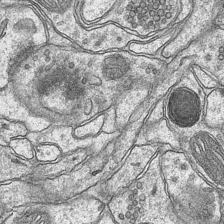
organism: Mouse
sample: CA1 Hippocampus